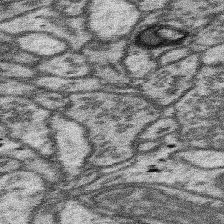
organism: Mouse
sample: Somatosensory cortex neuropil